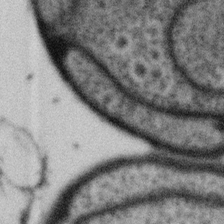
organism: Gemmata obscuriglobus